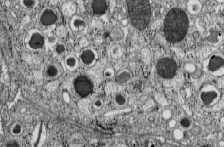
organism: C57BL Mouse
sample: Pancreatic islet